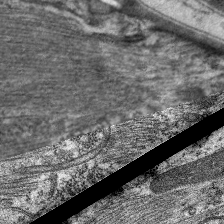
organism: C. elegans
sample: Pharynx